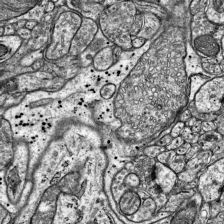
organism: Mouse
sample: Visual Cortex